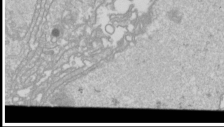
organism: Drosophila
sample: Cell division; meiosis; drosophila spermatocytes